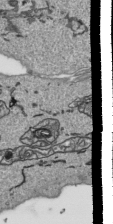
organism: Human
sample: Mitochondria in HCT116 cells